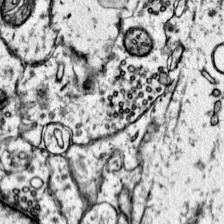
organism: Mouse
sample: Primary visual cortex